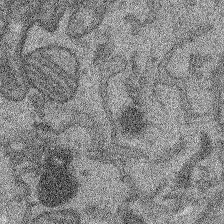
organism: Human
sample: HeLa cells